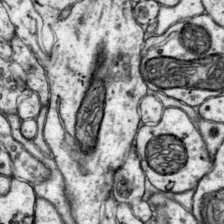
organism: Mouse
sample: Primary visual cortex